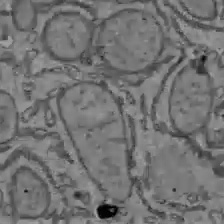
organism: C57BL Mouse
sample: Liver